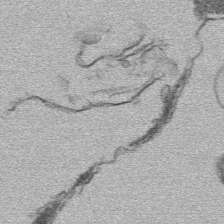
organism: Mouse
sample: Mouse hepatocytes